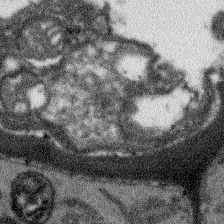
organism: Arabidopsis thaliana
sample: Root tip